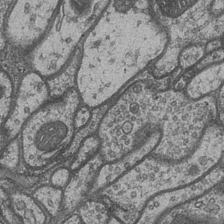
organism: Drosophila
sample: Optic medulla